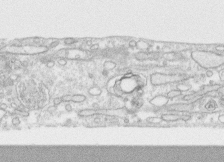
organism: Human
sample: CRL-1474